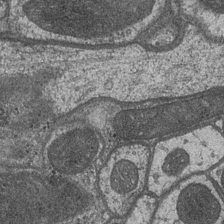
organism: Drosophila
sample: Optic medulla